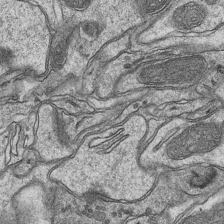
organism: Mouse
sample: CA1 Hippocampus